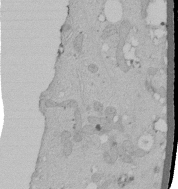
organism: Human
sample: Melanocyte Keratinocyte synapse skin construct